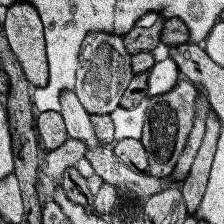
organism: Human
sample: Temporal Lobe